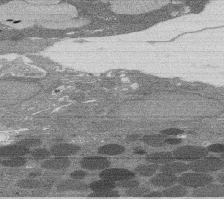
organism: Rat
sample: Salivary granule